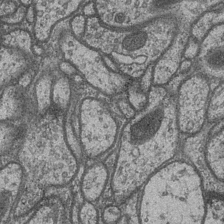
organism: Drosophila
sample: Optic medulla